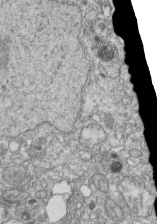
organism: Human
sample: HeLa cell HIV synapse